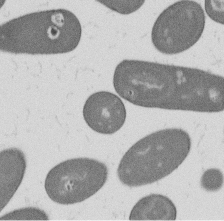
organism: B. subtilis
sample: Bacterial spore